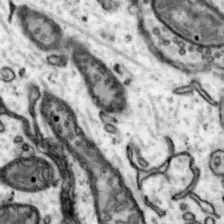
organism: Mouse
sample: Nucleus accumbens